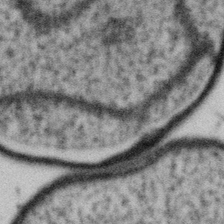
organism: Gemmata obscuriglobus